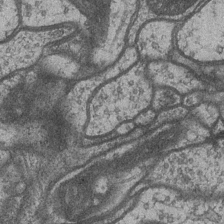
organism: Drosophila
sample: Optic medulla